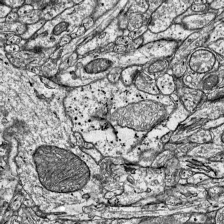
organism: Mouse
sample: Visual Cortex